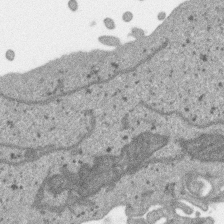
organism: Human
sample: Lung epithelial cells infected with SARS-CoV-2